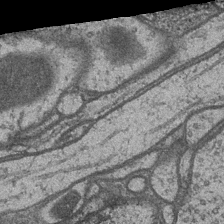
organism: Drosophila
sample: Optic medulla